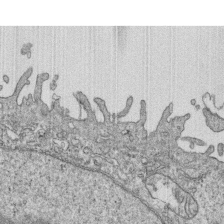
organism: Human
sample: HeLa cell HIV synapse